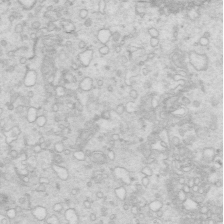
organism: Mouse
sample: Multiciliated cells